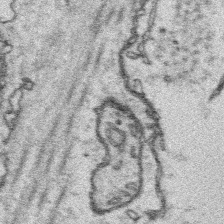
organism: Platynereis dumerilii